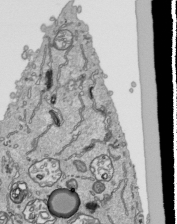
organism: Human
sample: Mitochondria in HCT116 cells